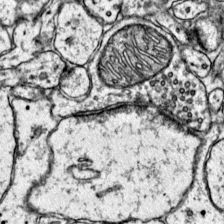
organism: Mouse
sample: Primary visual cortex